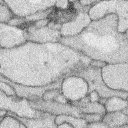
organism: Rabbit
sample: Retina